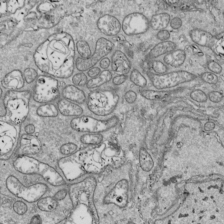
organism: Drosophila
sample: Cell division; meiosis; drosophila spermatocytes